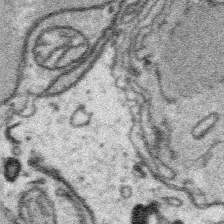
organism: Platynereis dumerilii